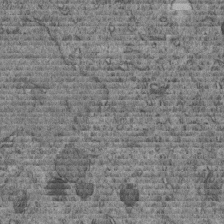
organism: C. elegans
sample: C. elegans embryo early stage